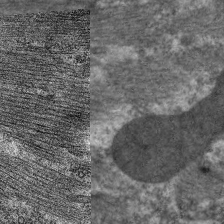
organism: C. elegans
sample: Pharynx